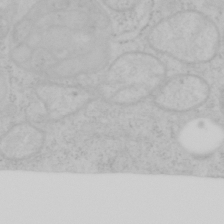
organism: Mouse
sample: OT-I killer T cells with ID8 ovarian cancer cells